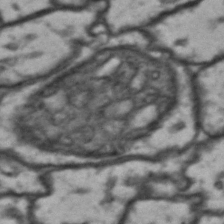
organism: Drosophila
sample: Brain